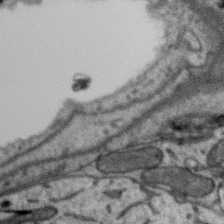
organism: Zebra finch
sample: Brain